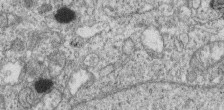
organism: Human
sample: HeLa cell HIV synapse